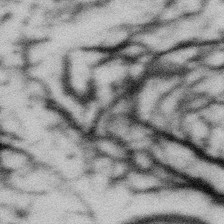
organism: Gemmata obscuriglobus